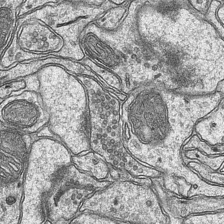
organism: Mouse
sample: CA1 Hippocampus